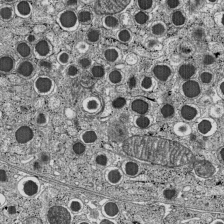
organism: C57BL Mouse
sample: Pancreatic islet